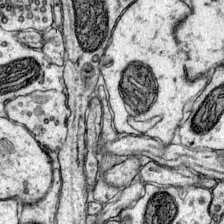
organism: Mouse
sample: Primary visual cortex